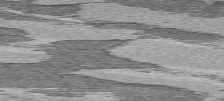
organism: C57BL Mouse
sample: Heart